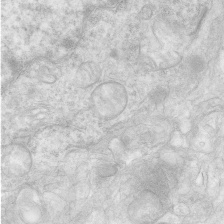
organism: Human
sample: Neocortex